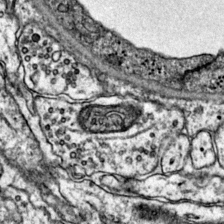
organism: Mouse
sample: Primary visual cortex